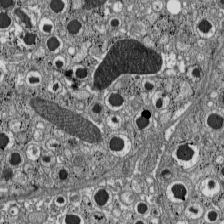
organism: C57BL Mouse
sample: Pancreatic islet